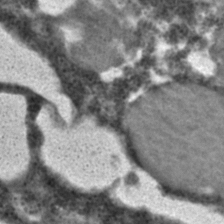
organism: C. elegans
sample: C. elegans embryo